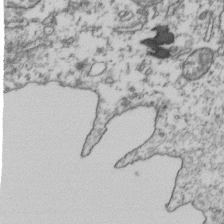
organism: Human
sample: Activated Jurkat CD4+ T cells